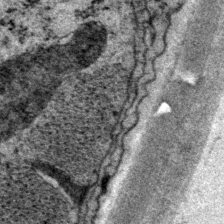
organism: P. pacificus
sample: Pharynx